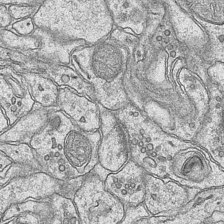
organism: Mouse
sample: CA1 Hippocampus